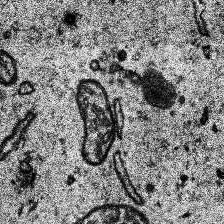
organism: Human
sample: Temporal Lobe